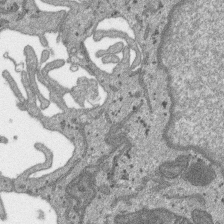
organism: Human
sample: Lung epithelial cells infected with SARS-CoV-2